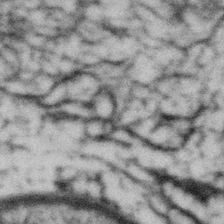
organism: Gemmata obscuriglobus